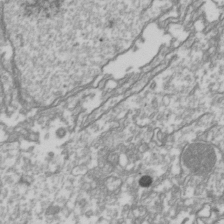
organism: Drosophila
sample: Cell division; meiosis; drosophila spermatocytes